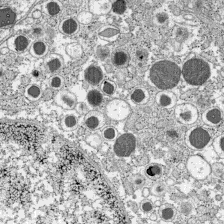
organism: C57BL Mouse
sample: Pancreatic islet